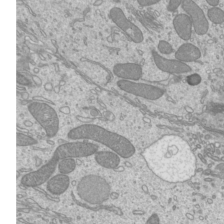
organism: Mouse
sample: Cilia; mouse epididymis